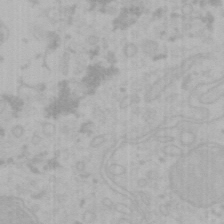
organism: Mouse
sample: Choroid plexus